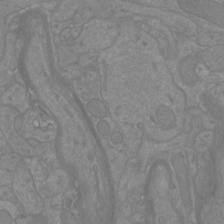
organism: Mouse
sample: Cortical neurons